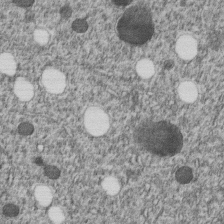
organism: C. elegans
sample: C. elegans embryo early stage